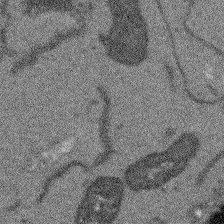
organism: Arabidopsis thaliana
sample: Root tip